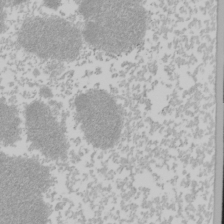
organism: Mouse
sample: Cancer cell death in ED-1 cells